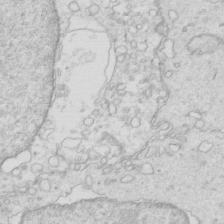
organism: Mouse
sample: Multiciliated cells